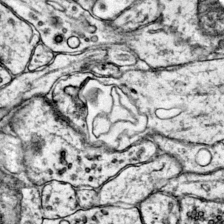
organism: Mouse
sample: Primary visual cortex